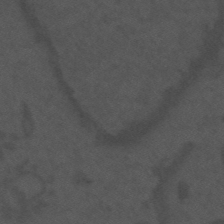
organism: Mouse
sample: Suprachiasmatic nucleus